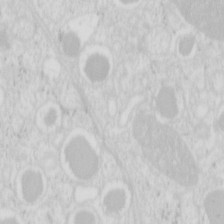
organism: Mouse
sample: Pancreas